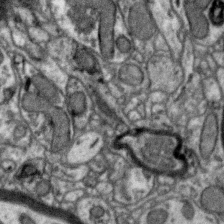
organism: Zebra finch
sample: Brain